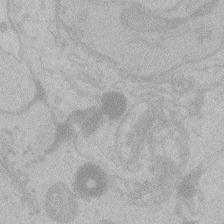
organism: Zebrafish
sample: Macrophage infected with Toxoplasma gondii